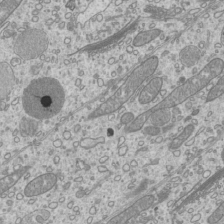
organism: Mouse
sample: Cilia; mouse epididymis